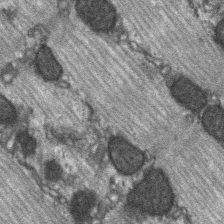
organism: C57BL Mouse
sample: Soleus